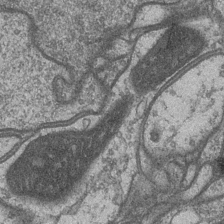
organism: Drosophila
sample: Optic medulla